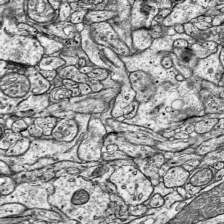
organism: Mouse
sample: Visual Cortex